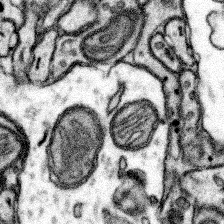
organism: Mouse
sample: Somatosensory cortex neuropil